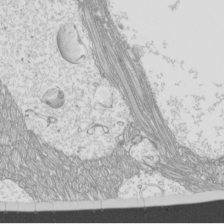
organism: Mouse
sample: Cilia; mouse epididymis